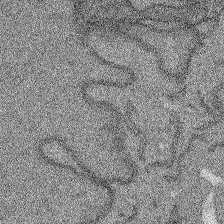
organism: Human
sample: HeLa cells